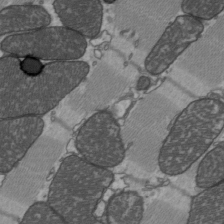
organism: C57BL Mouse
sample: Heart